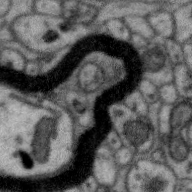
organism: Zebra finch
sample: Brain